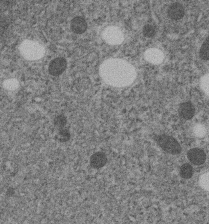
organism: C. elegans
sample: C. elegans embryo early stage